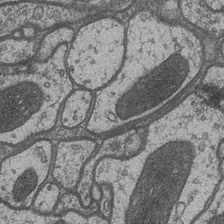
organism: Drosophila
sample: Optic medulla